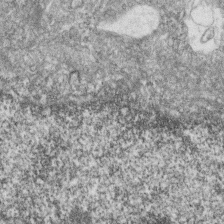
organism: Zebrafish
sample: Cilia; retinal pigment epithelium